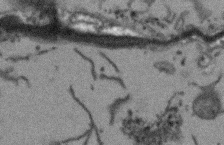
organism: Arabidopsis thaliana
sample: Root tip